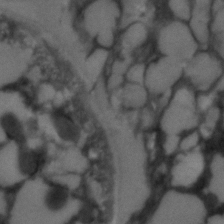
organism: C. elegans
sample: C. elegans embryo